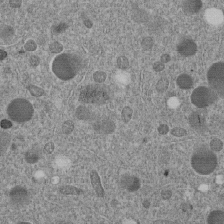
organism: C. elegans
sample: C. elegans embryo early stage